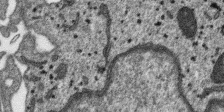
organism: Human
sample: Lung epithelial cells infected with SARS-CoV-2